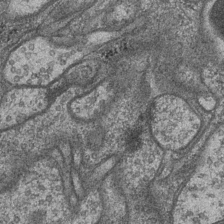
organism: Drosophila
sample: Optic medulla